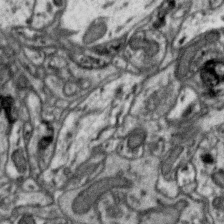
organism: Zebra finch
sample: Brain